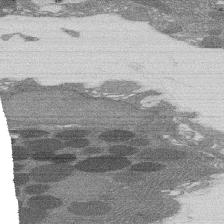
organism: Rat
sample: Salivary granule